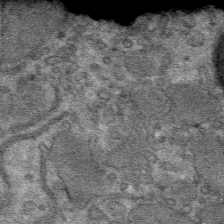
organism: Mouse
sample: Mouse hepatocytes